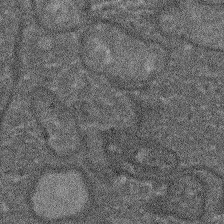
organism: Arabidopsis thaliana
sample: Root tip